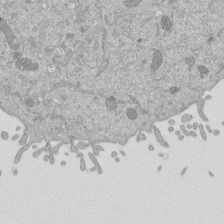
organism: Mouse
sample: ED-1 cell nuclei; centrioles